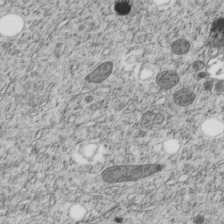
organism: C. elegans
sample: C. elegans embryo early stage